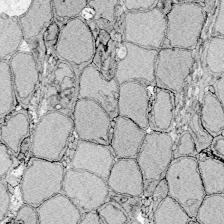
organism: Zebrafish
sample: Whole-Brain